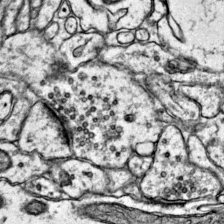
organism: Mouse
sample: Primary visual cortex